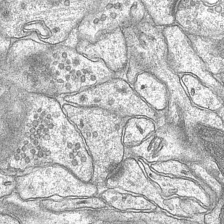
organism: Mouse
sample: CA1 Hippocampus